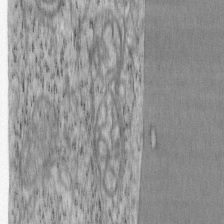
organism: Human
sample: HeLa cells